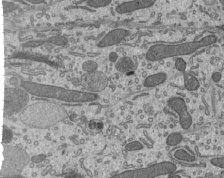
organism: Mouse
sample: Mouse epididymis efferent ductule cilia